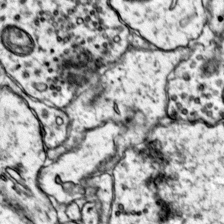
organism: Mouse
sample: Primary visual cortex